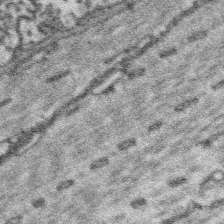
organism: Platynereis dumerilii